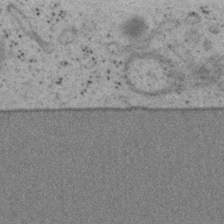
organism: Human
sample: HeLa cells